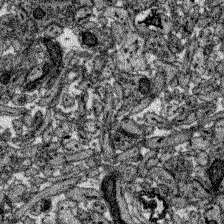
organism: Zebrafish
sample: Larval olfactory bulb